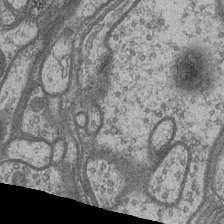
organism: Drosophila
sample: Optic medulla